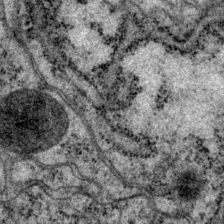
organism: P. pacificus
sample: Pharynx